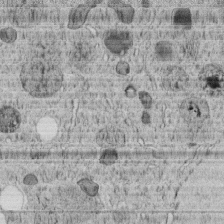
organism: C. elegans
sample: C. elegans embryo early stage